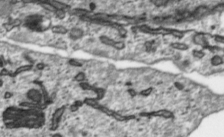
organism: Toxoplasma gondii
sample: Parasites in a vacuole inside a host cell